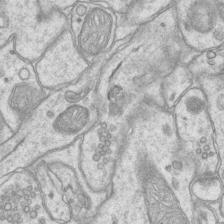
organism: Mouse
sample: CA1 Hippocampus